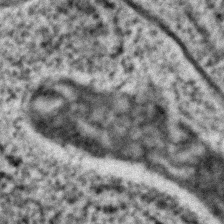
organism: C. elegans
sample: C. elegans embryo